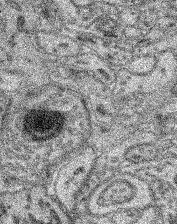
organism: Mouse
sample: Retina